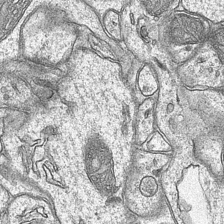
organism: Mouse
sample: CA1 Hippocampus